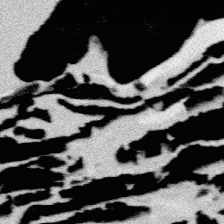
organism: Platynereis dumerilii